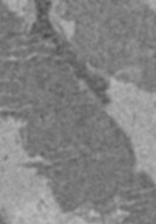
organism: C57BL Mouse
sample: Heart